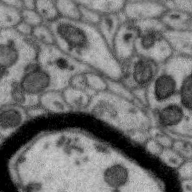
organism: Zebra finch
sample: Brain